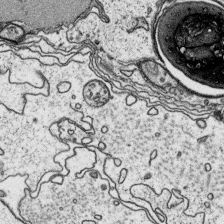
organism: Platynereis dumerilii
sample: Parapodia